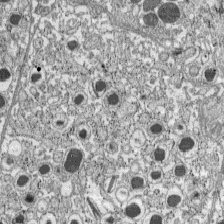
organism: C57BL Mouse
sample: Pancreatic islet